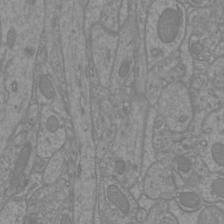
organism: Mouse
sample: Cortical neurons